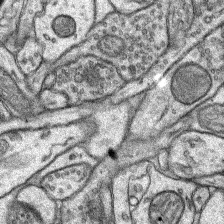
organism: Rat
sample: Hippocampus